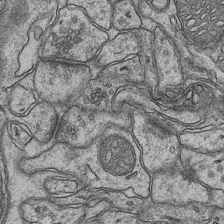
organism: Mouse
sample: CA1 Hippocampus